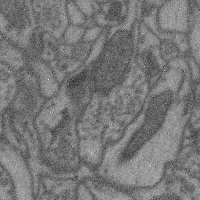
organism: Mouse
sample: Cerebral cortex